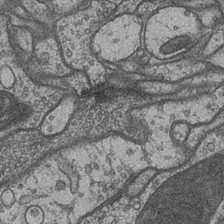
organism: Drosophila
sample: Optic medulla